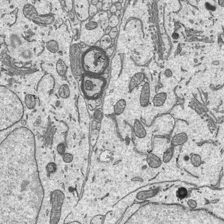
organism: Mouse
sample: Suprachiasmatic nucleus